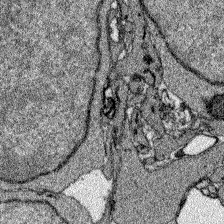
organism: Zebrafish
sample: Larval olfactory bulb